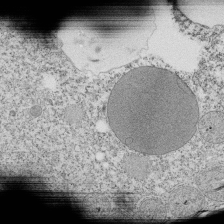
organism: Tetrahymena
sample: Cilia in tetrahymena